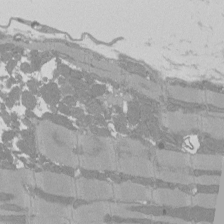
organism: Rat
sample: Left ventricle